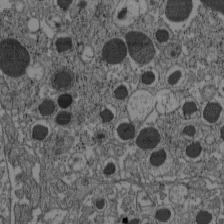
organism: C57BL Mouse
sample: Pancreatic islet